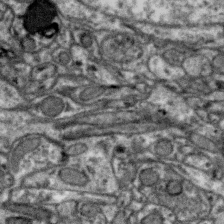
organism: Zebra finch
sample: Brain